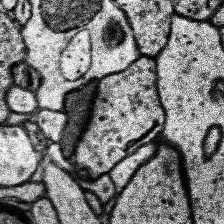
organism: Human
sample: Temporal Lobe